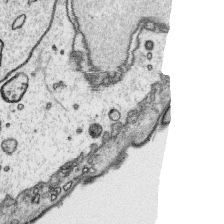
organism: Platynereis dumerilii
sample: Parapodia